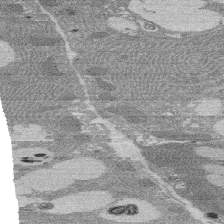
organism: Rat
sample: Salivary granule